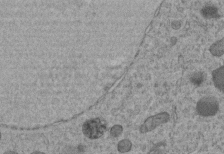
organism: C. elegans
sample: C. elegans embryo early stage